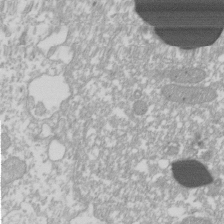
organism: Xenopus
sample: Cilia; centrioles in frog embryo cells